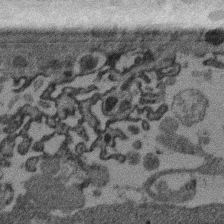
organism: Mouse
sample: Dividing mouse embryo 1 cell stage